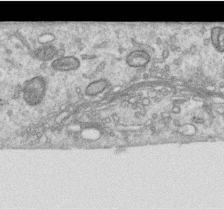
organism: Human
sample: Centriole in RPE cells